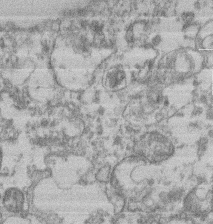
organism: Mouse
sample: T cell stromal cell synapse